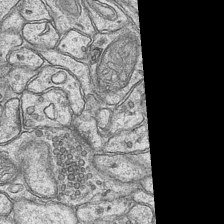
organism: Mouse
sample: CA1 Hippocampus